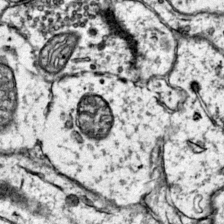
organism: Mouse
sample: Primary visual cortex